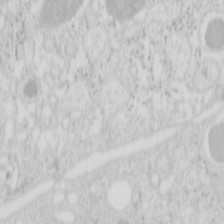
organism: Mouse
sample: Pancreas